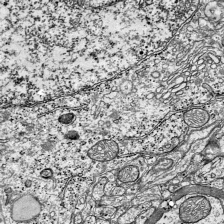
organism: Mouse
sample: Visual Cortex